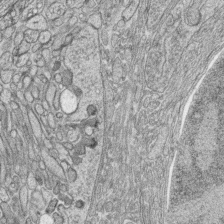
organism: Zebrafish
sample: synaptic ribbons in rod cells and cone cells